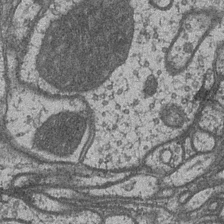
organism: Drosophila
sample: Optic medulla